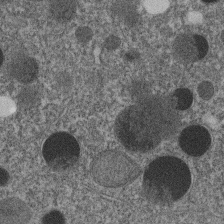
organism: C. elegans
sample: C. elegans embryo early stage